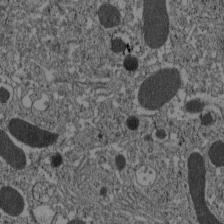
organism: C57BL Mouse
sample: Pancreatic islet